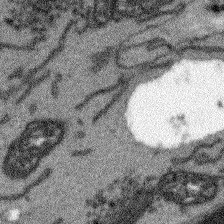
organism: Arabidopsis thaliana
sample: Root tip